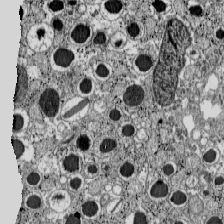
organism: C57BL Mouse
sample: Pancreatic islet